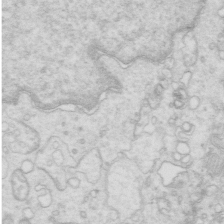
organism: Mouse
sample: Multiciliated cells